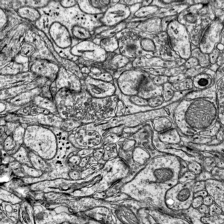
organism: Mouse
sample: Visual Cortex